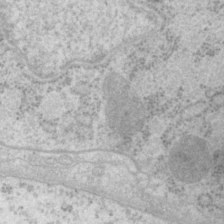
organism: P. pacificus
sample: Pharynx